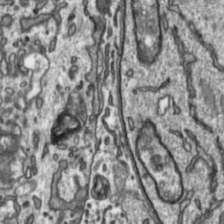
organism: Toxoplasma gondii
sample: Parasites in a vacuole inside a host cell